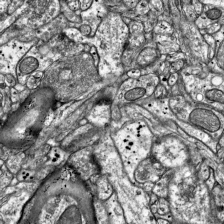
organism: Mouse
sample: Visual Cortex